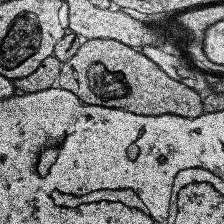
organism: Human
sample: Temporal Lobe